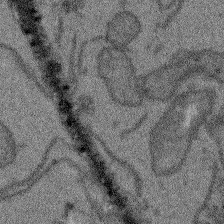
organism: Arabidopsis thaliana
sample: Root tip